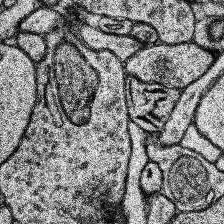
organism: Human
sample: Temporal Lobe